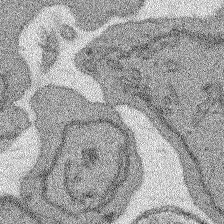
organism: Human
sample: HeLa cells